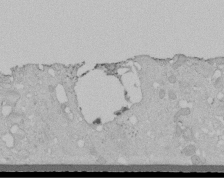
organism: Human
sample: Melanocyte Keratinocyte synapse skin construct